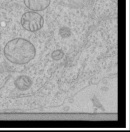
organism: Human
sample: Mitochondria in HCT116 cells